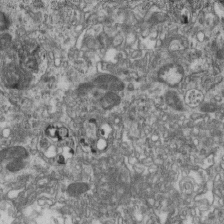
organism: Mouse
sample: Centriole in ependymal cells